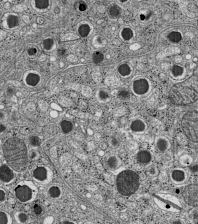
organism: C57BL Mouse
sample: Pancreatic islet